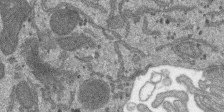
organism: Human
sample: Lung epithelial cells infected with SARS-CoV-2